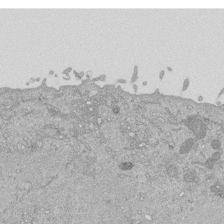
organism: Mouse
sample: ED-1 cell nuclei; centrioles